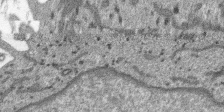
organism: Human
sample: Lung epithelial cells infected with SARS-CoV-2